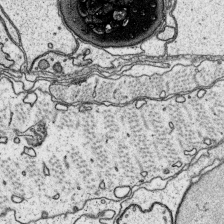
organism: Platynereis dumerilii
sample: Parapodia